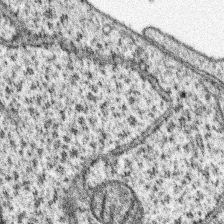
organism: Human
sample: HeLa cells